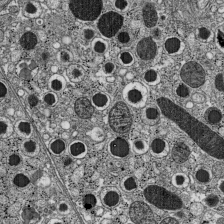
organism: C57BL Mouse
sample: Pancreatic islet